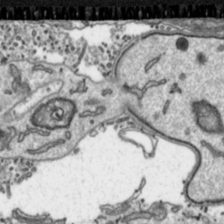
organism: Toxoplasma gondii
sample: Parasites in a vacuole inside a host cell